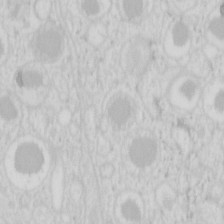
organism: Mouse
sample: Pancreas